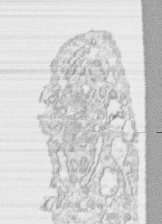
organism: Human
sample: CRL-1474